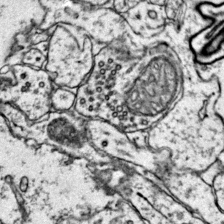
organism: Mouse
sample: Primary visual cortex